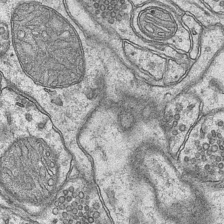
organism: Mouse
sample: CA1 Hippocampus